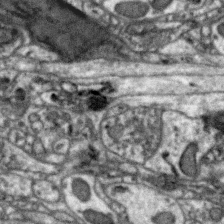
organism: Zebra finch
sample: Brain